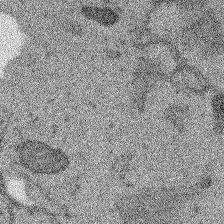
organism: Human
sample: HeLa cells